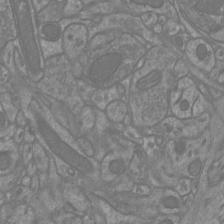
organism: Mouse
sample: Cortical neurons